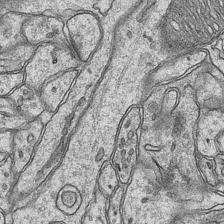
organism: Mouse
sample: CA1 Hippocampus